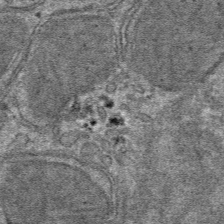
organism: Mouse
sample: Mouse hepatocytes